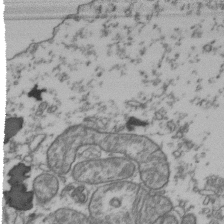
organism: Human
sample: Activated Jurkat CD4+ T cells